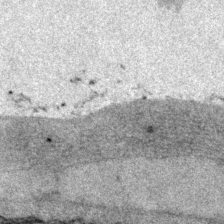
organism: P. pacificus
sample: Pharynx